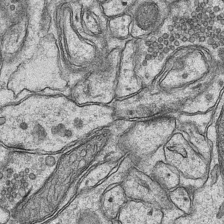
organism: Mouse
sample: CA1 Hippocampus